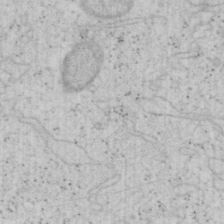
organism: Human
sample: HeLa cells